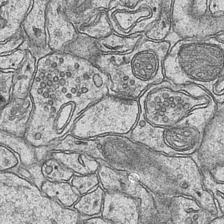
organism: Mouse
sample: CA1 Hippocampus